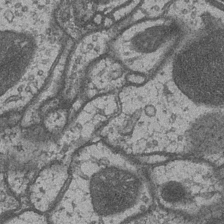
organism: Drosophila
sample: Optic medulla